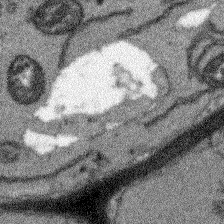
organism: Arabidopsis thaliana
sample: Root tip